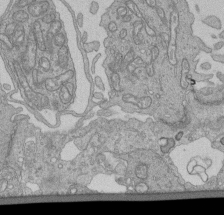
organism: Human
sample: Retinal organoid Rod and Cone cells